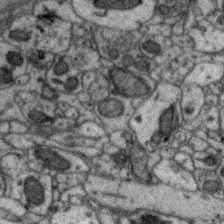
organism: Zebra finch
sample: Brain